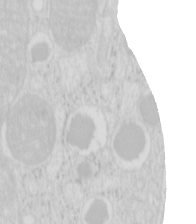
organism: Mouse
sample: Pancreas